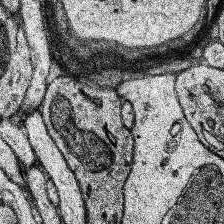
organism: Human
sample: Temporal Lobe